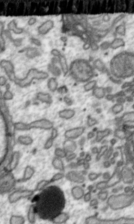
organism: Toxoplasma gondii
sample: Parasites in a vacuole inside a host cell